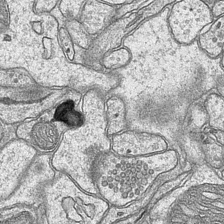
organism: Mouse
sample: CA1 Hippocampus